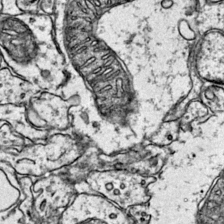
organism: Mouse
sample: Primary visual cortex